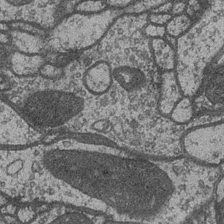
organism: Drosophila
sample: Optic medulla